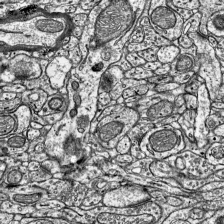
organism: Mouse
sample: Visual Cortex